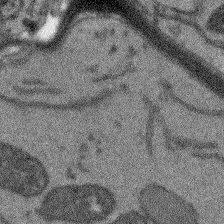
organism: Arabidopsis thaliana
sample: Root tip